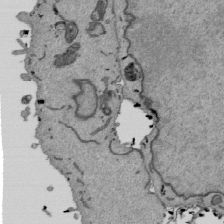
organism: Mouse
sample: ED-1 cell nuclei; centrioles